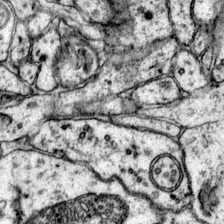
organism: Mouse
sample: Primary visual cortex